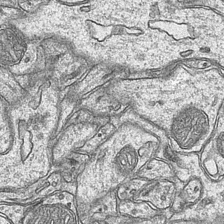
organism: Mouse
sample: CA1 Hippocampus